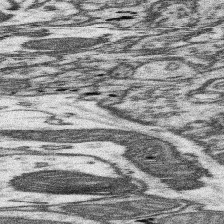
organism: Mouse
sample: Somatosensory cortex neuropil